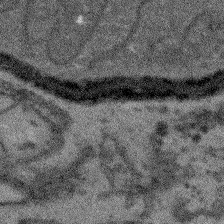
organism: Arabidopsis thaliana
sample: Root tip